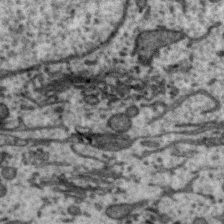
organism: Zebra finch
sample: Brain